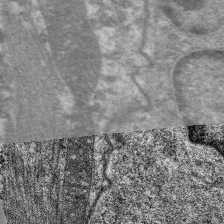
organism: C. elegans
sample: Pharynx